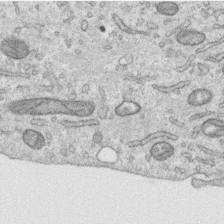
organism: Human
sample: Centriole in RPE cells